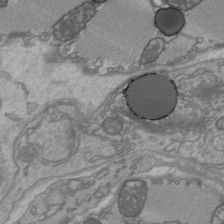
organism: C57BL Mouse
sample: Heart